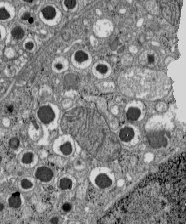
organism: C57BL Mouse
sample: Pancreatic islet